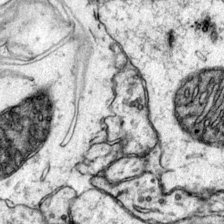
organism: Mouse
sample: Primary visual cortex